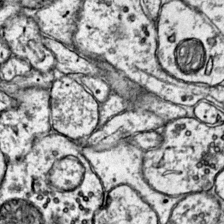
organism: Mouse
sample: Primary visual cortex